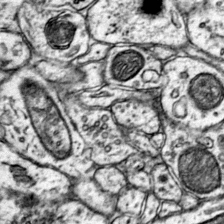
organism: Mouse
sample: Primary visual cortex